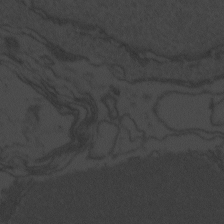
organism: Zebrafish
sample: Macrophage infected with Toxoplasma gondii